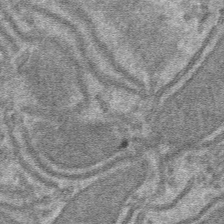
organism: Mouse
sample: Mouse hepatocytes